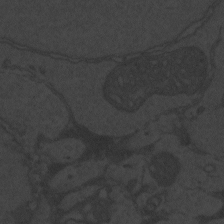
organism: Zebrafish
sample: Macrophage infected with Toxoplasma gondii